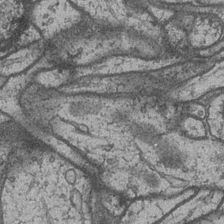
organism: Drosophila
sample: Optic medulla